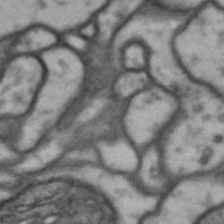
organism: Drosophila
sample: Brain